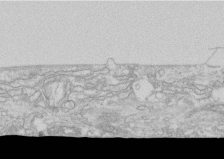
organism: Human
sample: CRL-1474